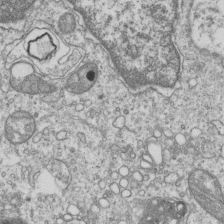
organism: Human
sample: MDA-MB-231 cells